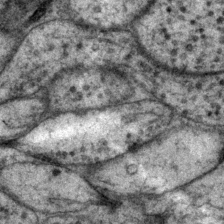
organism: P. pacificus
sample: Pharynx